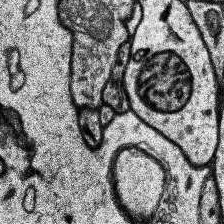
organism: Human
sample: Temporal Lobe